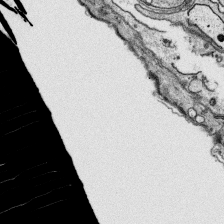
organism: Platynereis dumerilii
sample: Parapodia